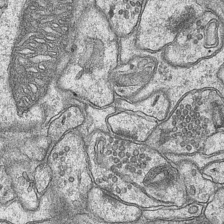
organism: Mouse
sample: CA1 Hippocampus